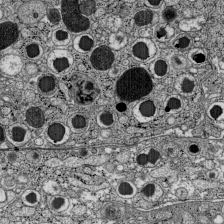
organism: C57BL Mouse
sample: Pancreatic islet